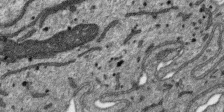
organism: Human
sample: Lung epithelial cells, uninfected (mock) control